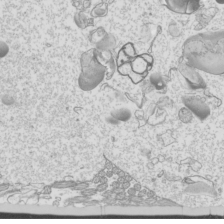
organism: Mouse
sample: Cilia; mouse epididymis